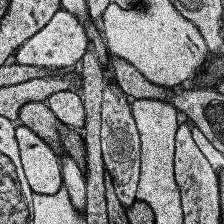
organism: Human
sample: Temporal Lobe